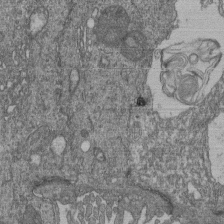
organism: Human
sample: Retinal organoid Rod and Cone cells